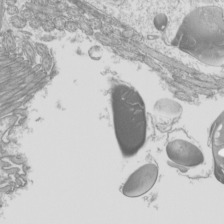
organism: Mouse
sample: Cilia; mouse epididymis